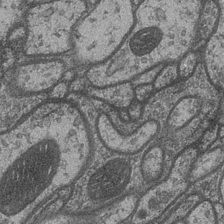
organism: Drosophila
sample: Optic medulla